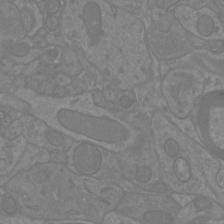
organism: Mouse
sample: Cortical neurons